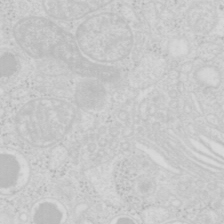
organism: Mouse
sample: Pancreas